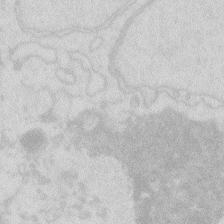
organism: Zebrafish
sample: Macrophage